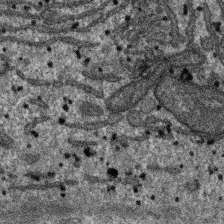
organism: Human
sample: Lung epithelial cells infected with SARS-CoV-2